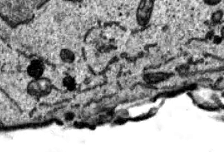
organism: Human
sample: HeLa cells